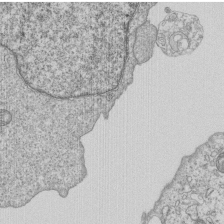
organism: Human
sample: MDA-MB-231 cells